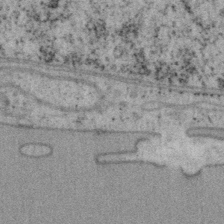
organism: Human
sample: HeLa cells